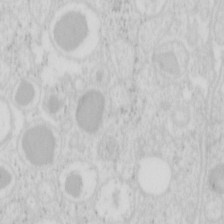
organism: Mouse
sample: Pancreas